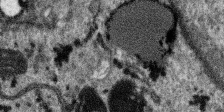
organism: Human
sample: Lung epithelial cells infected with SARS-CoV-2